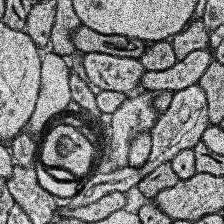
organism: Human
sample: Temporal Lobe